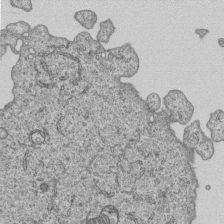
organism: Human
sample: MDA-MB-231 cells